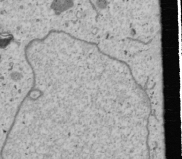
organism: Human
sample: Mitochondria in U2OS cells